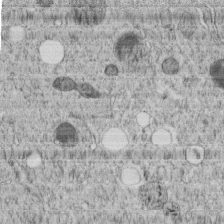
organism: C. elegans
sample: C. elegans embryo early stage